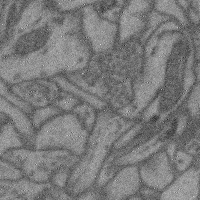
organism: Mouse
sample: Cerebral cortex